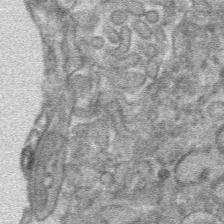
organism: Mouse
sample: Mouse hepatocytes